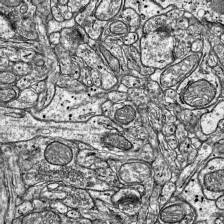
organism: Mouse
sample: Visual Cortex